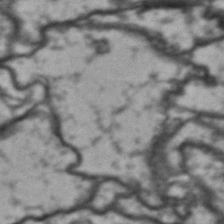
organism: Drosophila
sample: Brain